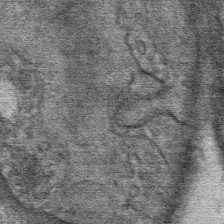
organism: Mouse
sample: Mouse Salivary gland